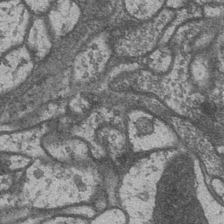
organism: Drosophila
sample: Optic medulla